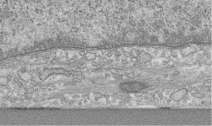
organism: Human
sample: Centriole in RPE cells